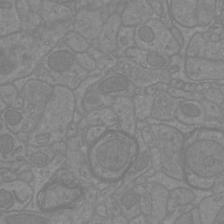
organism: Mouse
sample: Cortical neurons